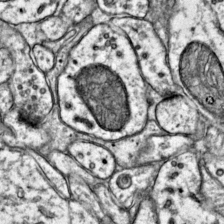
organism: Mouse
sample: Primary visual cortex